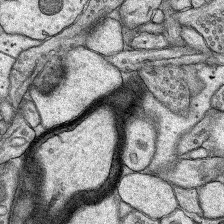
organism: Rat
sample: Hippocampus